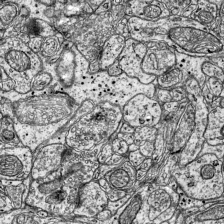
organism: Mouse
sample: Visual Cortex